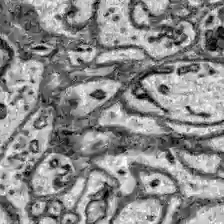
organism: Zebrafish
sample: Brain